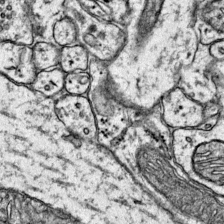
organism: Mouse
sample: Primary visual cortex